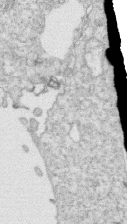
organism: Human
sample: HeLa cell HIV synapse